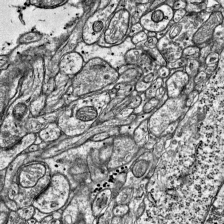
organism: Mouse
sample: Visual Cortex